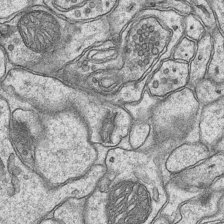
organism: Mouse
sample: CA1 Hippocampus